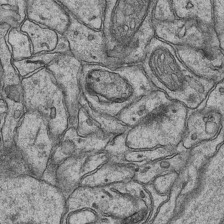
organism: Mouse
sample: CA1 Hippocampus